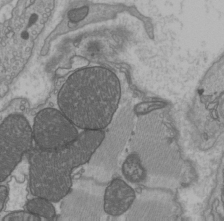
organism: C57BL Mouse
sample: Heart